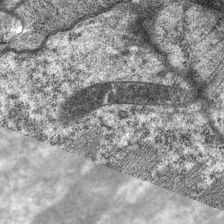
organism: C. elegans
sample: Pharynx